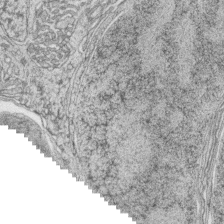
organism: Zebrafish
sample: synaptic ribbons in rod cells and cone cells